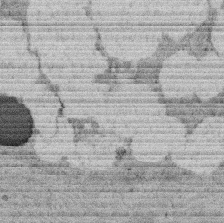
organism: Rat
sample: Salivary granule